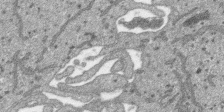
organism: Human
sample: Lung epithelial cells infected with SARS-CoV-2